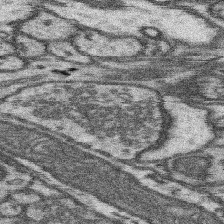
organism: Mouse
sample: Somatosensory cortex neuropil